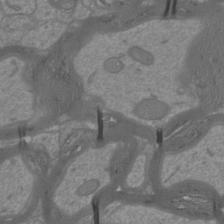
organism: Mouse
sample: Cortical neurons